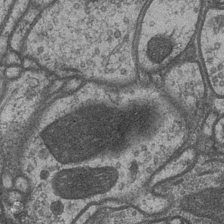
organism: Drosophila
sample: Optic medulla